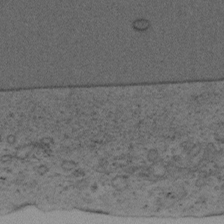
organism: Human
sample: HeLa cells